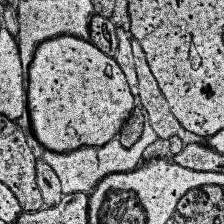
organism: Human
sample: Temporal Lobe